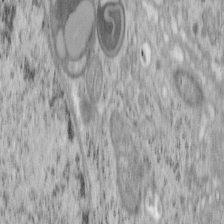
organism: Human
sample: HeLa cells